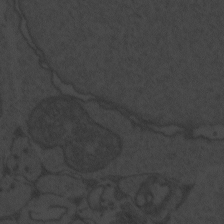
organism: Zebrafish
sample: Macrophage infected with Toxoplasma gondii